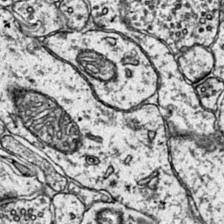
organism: Mouse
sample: Primary visual cortex